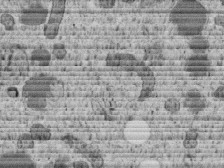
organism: C. elegans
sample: C. elegans embryo early stage